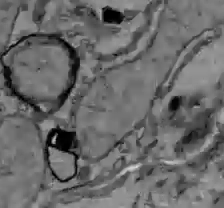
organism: C57BL Mouse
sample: Liver